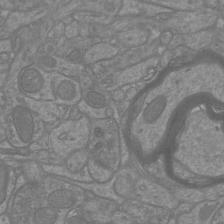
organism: Mouse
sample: Cortical neurons